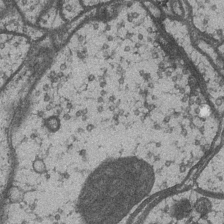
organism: Drosophila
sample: Optic medulla